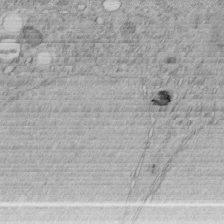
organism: C. elegans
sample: C. elegans embryo early stage